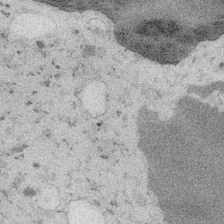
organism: Embia sp.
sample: Silk gland